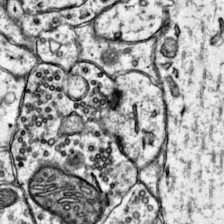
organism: Mouse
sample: Primary visual cortex